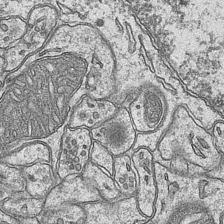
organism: Mouse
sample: CA1 Hippocampus